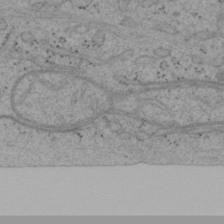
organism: Human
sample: HeLa cells